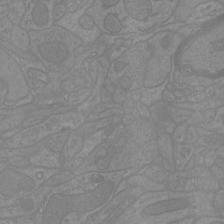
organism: Mouse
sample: Cortical neurons